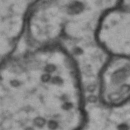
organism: Drosophila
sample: Brain